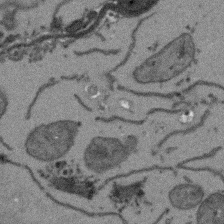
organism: Arabidopsis thaliana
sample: Root tip